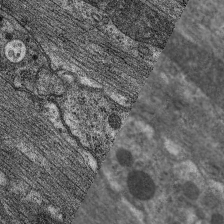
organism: C. elegans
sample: Pharynx